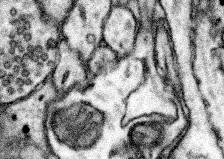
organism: Mouse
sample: Somatosensory cortex neuropil